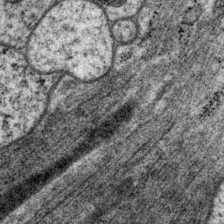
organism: P. pacificus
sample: Pharynx